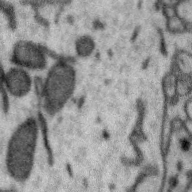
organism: Zebra finch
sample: Brain